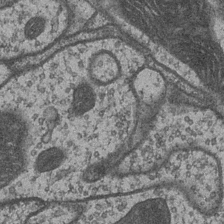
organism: Drosophila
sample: Optic medulla